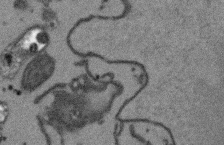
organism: Arabidopsis thaliana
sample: Root tip